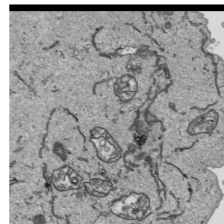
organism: Human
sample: Mitochondria in HCT116 cells